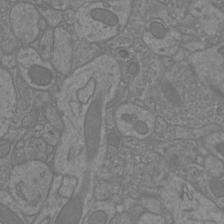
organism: Mouse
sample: Cortical neurons